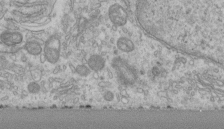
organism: Human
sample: Centriole in RPE cells